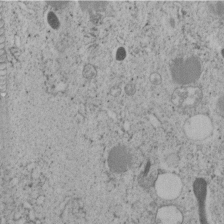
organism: C. elegans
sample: C. elegans embryo early stage